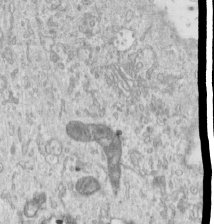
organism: Human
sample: Centriole in RPE cells